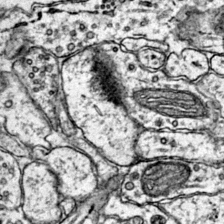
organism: Mouse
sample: Primary visual cortex